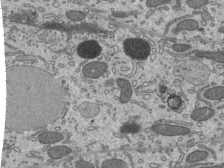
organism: Mouse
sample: Mouse epididymis efferent ductule cilia